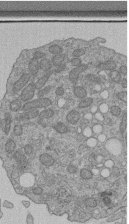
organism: Human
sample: Retinal organoid Rod and Cone cells